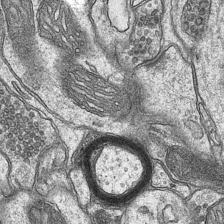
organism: Mouse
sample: CA1 Hippocampus